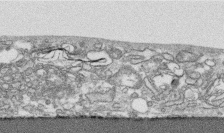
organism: Human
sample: CRL-1474